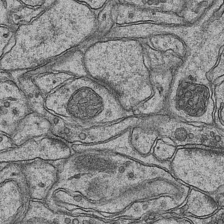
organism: Mouse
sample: CA1 Hippocampus